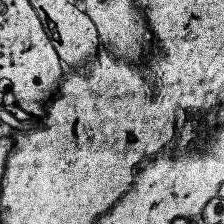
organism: Human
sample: Temporal Lobe